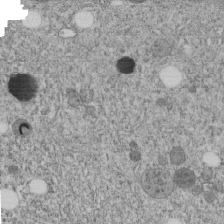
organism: C. elegans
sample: C. elegans embryo early stage